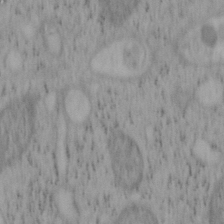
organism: Mouse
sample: OT-I killer T cells with ID8 ovarian cancer cells